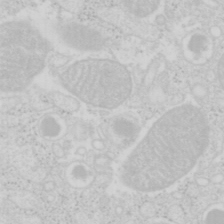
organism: Mouse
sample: Pancreas